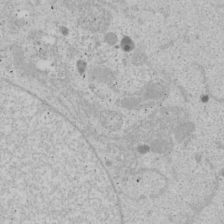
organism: Human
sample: Mitochondria in U2OS cells